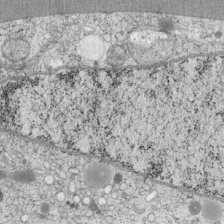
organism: African green monkey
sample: COS-7 cells